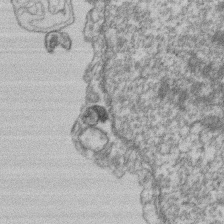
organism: Mouse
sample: T cell stromal cell synapse